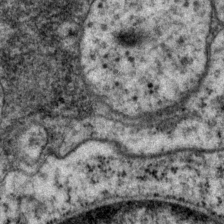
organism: P. pacificus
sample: Pharynx